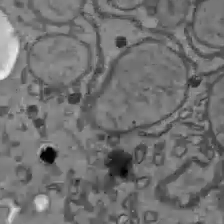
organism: C57BL Mouse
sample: Liver